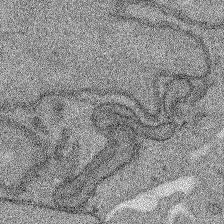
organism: Human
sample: HeLa cells